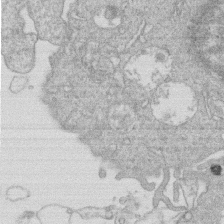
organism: Human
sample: Macrophage cells